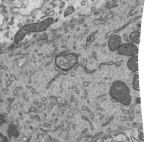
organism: Mouse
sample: Mouse epididymis efferent ductule cilia